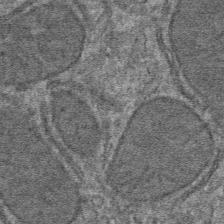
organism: Mouse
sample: Mouse hepatocytes